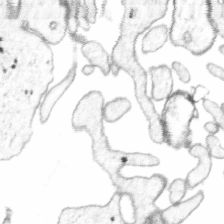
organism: Human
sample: HeLa cells